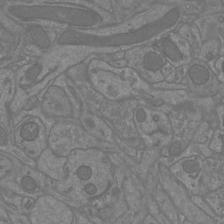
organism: Mouse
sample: Cortical neurons